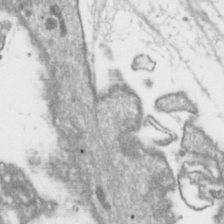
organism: Toxoplasma gondii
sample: Parasites in a vacuole inside a host cell